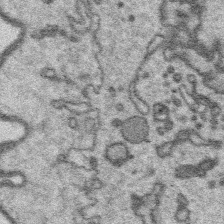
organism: Platynereis dumerilii